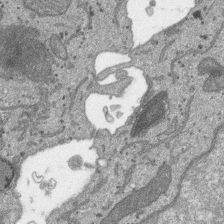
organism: Human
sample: Lung epithelial cells infected with SARS-CoV-2